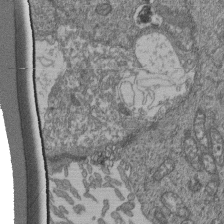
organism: Human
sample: Retinal organoid Rod and Cone cells